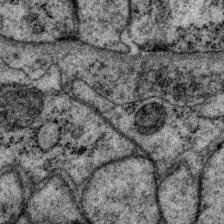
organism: P. pacificus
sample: Pharynx